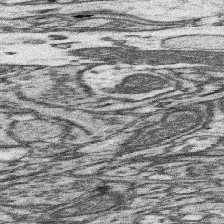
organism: Mouse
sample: Somatosensory cortex neuropil